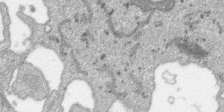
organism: Human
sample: Lung epithelial cells infected with SARS-CoV-2